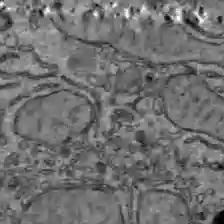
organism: C57BL Mouse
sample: Liver